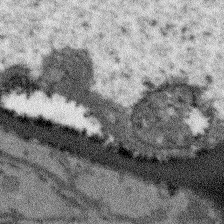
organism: Arabidopsis thaliana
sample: Root tip